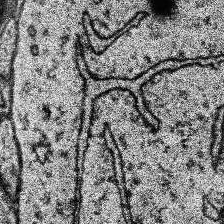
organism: Human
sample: Temporal Lobe